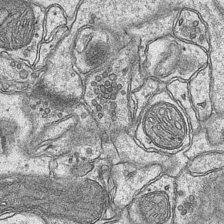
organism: Mouse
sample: CA1 Hippocampus